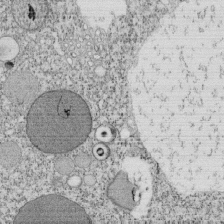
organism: Tetrahymena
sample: Cilia in tetrahymena